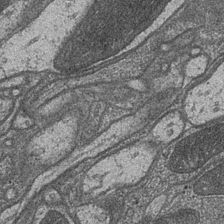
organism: Drosophila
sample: Optic medulla